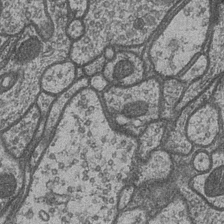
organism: Drosophila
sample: Optic medulla